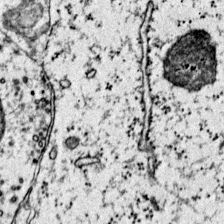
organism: Mouse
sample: Primary visual cortex